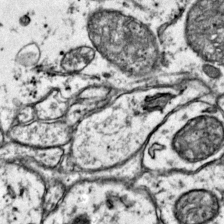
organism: Mouse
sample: Primary visual cortex